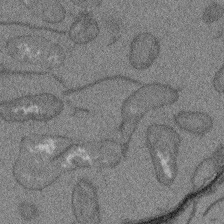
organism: Arabidopsis thaliana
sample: Root tip